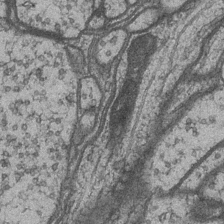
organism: Drosophila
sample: Optic medulla